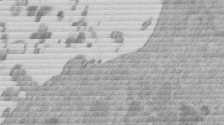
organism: Mouse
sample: Dividing mouse embryo 1 cell stage